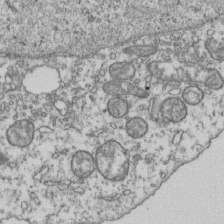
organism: Human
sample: Activated Jurkat CD4+ T cells